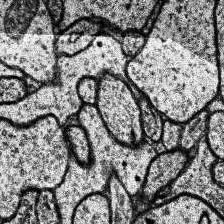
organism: Human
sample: Temporal Lobe